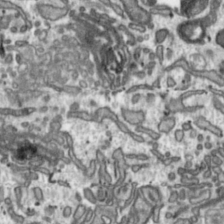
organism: Toxoplasma gondii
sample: Parasites in a vacuole inside a host cell